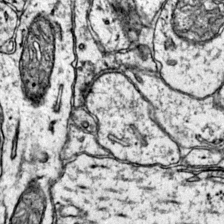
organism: Mouse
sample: Primary visual cortex